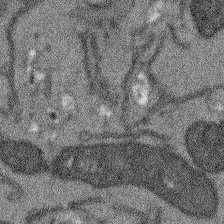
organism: Arabidopsis thaliana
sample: Root tip